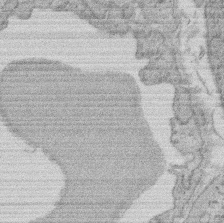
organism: Rat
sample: Salivary granule